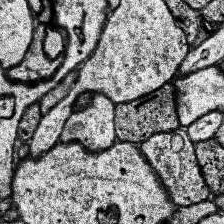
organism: Human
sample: Temporal Lobe